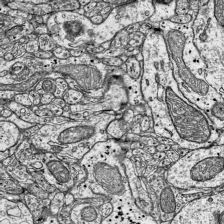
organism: Mouse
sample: Visual Cortex